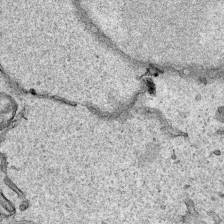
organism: Human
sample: Mitochondria in HCT116 cells